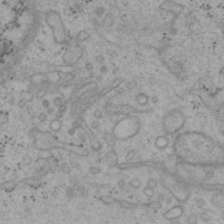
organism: Human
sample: HeLa cells